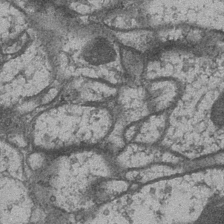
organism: Drosophila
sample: Optic medulla